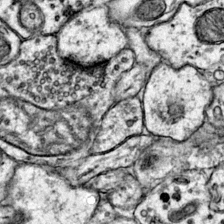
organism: Mouse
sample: Primary visual cortex